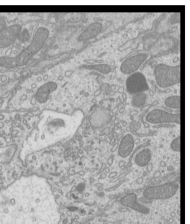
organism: Mouse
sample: Cilia; mouse epididymis